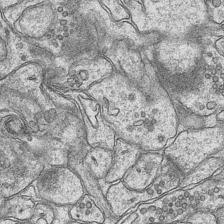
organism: Mouse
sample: CA1 Hippocampus